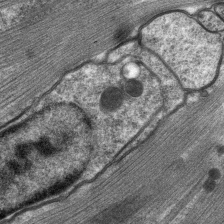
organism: C. elegans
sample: Pharynx